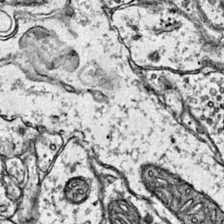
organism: Mouse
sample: Primary visual cortex